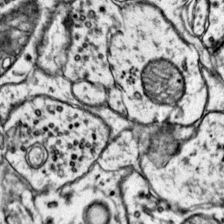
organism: Mouse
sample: Primary visual cortex